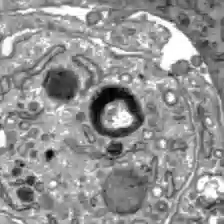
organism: C57BL Mouse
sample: Liver